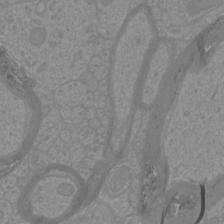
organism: Mouse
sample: Cortical neurons